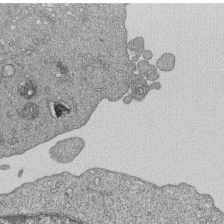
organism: Human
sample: MDA-MB-231 cells